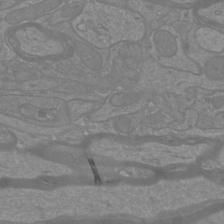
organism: Mouse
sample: Cortical neurons